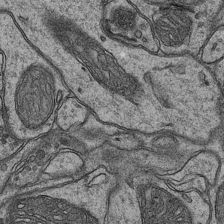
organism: Mouse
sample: CA1 Hippocampus